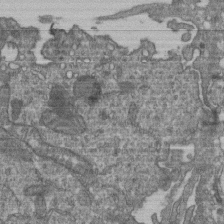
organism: Human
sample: Retinal organoid Rod and Cone cells